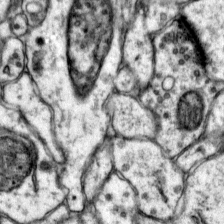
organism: Mouse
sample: Primary visual cortex